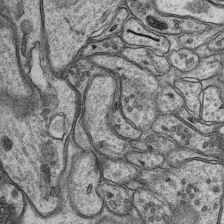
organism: Mouse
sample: CA1 Hippocampus